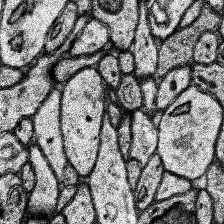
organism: Human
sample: Temporal Lobe